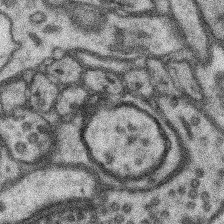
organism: Mouse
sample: Somatosensory cortex neuropil